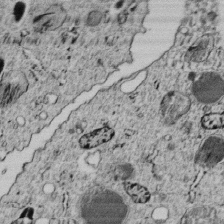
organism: C. elegans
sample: C. elegans embryo early stage